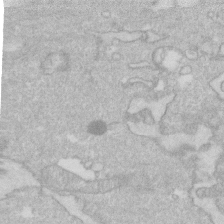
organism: Human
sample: Fibroblast cells